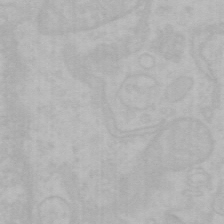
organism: Mouse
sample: Choroid plexus